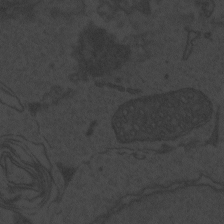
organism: Zebrafish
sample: Macrophage infected with Toxoplasma gondii